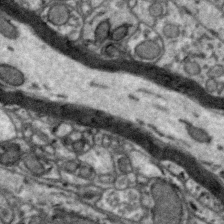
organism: Zebra finch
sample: Brain